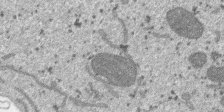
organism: Human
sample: Lung epithelial cells infected with SARS-CoV-2